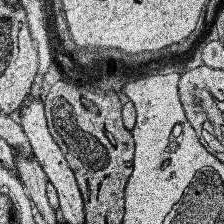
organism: Human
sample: Temporal Lobe